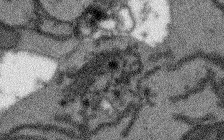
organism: Arabidopsis thaliana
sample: Root tip